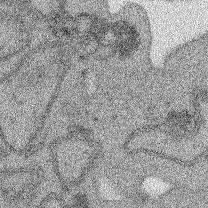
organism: Human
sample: HeLa cells